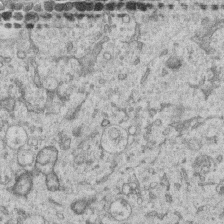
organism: Human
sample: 1205lu cells